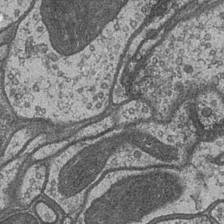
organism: Drosophila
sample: Optic medulla